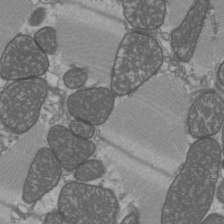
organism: C57BL Mouse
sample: Heart